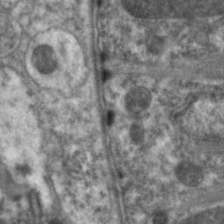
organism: C. elegans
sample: Pharynx